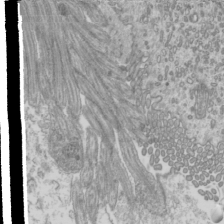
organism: Mouse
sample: Cilia; mouse epididymis